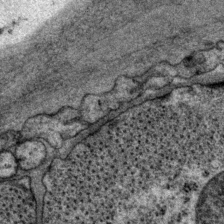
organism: P. pacificus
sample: Pharynx